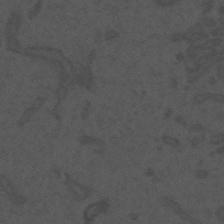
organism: Mouse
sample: Suprachiasmatic nucleus